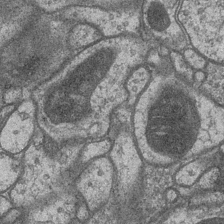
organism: Drosophila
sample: Optic medulla